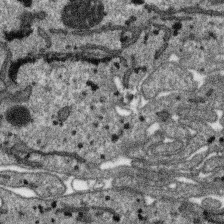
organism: Human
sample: Lung epithelial cells infected with SARS-CoV-2